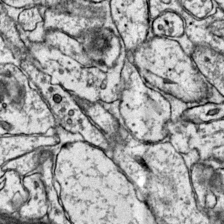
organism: Mouse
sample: Primary visual cortex